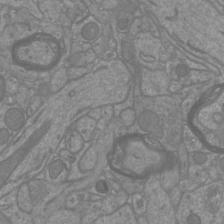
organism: Mouse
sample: Cortical neurons